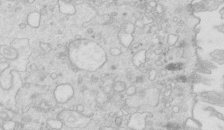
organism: Mouse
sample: Multiciliated cells